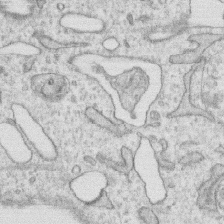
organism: Human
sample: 1205lu cells